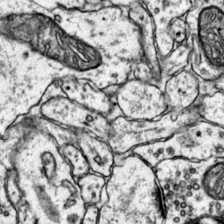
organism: Mouse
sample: Primary visual cortex